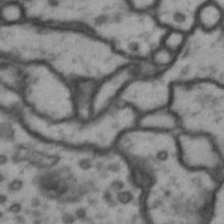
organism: Drosophila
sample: Brain